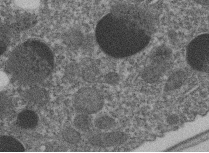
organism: C. elegans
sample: C. elegans embryo early stage